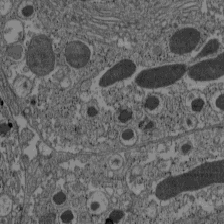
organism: C57BL Mouse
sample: Pancreatic islet